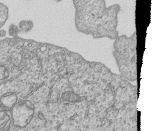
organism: Human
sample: MDA-MB-231 cells